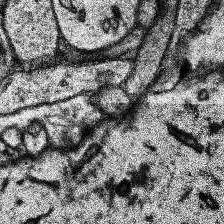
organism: Human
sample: Temporal Lobe